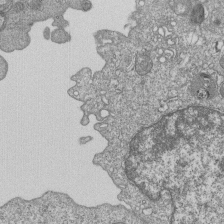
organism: Human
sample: MDA-MB-231 cells